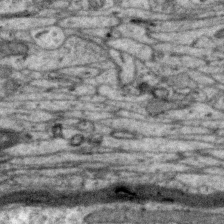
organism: Zebra finch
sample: Brain